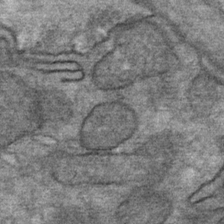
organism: Mouse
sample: Mouse Salivary gland